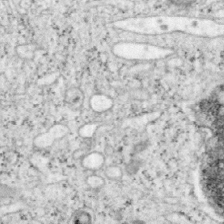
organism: Mouse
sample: OT-I killer T cells with ID8 ovarian cancer cells